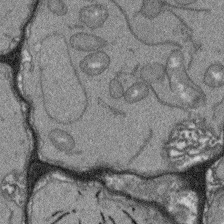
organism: Arabidopsis thaliana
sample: Root tip